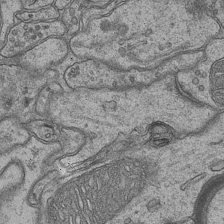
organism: Mouse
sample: CA1 Hippocampus